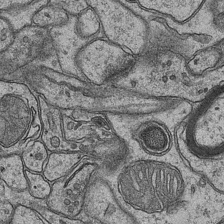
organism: Mouse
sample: CA1 Hippocampus